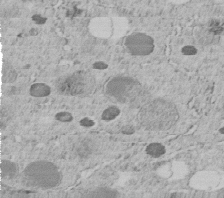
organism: C. elegans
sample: C. elegans embryo early stage